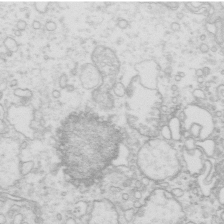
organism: Mouse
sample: Multiciliated cells